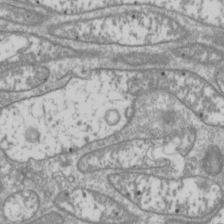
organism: Drosophila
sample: Cell division; meiosis; drosophila spermatocytes